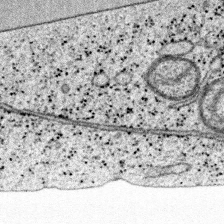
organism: Human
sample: HeLa cells